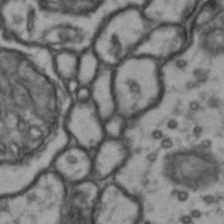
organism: Drosophila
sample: Brain